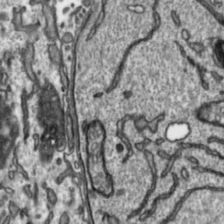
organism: Toxoplasma gondii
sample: Parasites in a vacuole inside a host cell